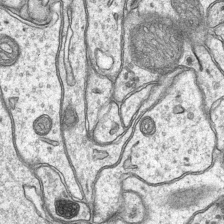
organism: Mouse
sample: CA1 Hippocampus